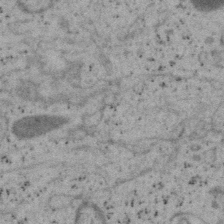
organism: Human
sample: HeLa cells